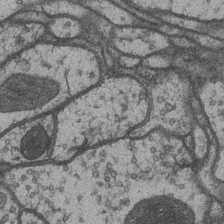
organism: Drosophila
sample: Optic medulla